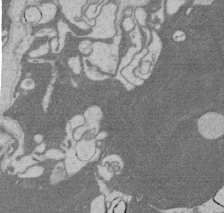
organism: Rat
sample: Salivary granule